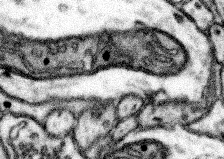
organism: Mouse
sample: Somatosensory cortex neuropil